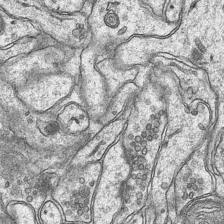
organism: Mouse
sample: CA1 Hippocampus